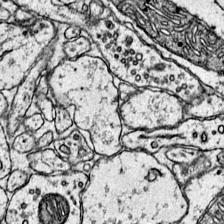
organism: Mouse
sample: Primary visual cortex